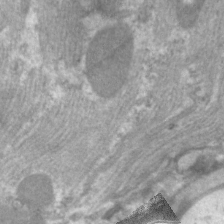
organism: C. elegans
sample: Pharynx